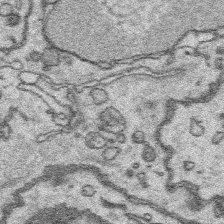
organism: Platynereis dumerilii